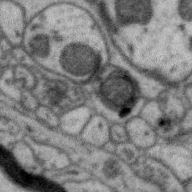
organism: Zebra finch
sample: Brain